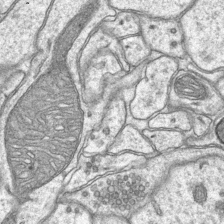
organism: Mouse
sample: CA1 Hippocampus